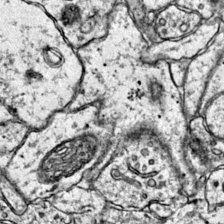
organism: Mouse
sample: Primary visual cortex